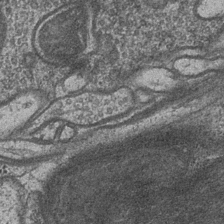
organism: Drosophila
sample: Optic medulla